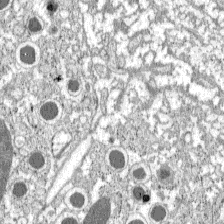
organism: C57BL Mouse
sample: Pancreatic islet